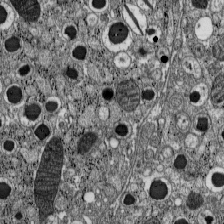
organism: C57BL Mouse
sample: Pancreatic islet